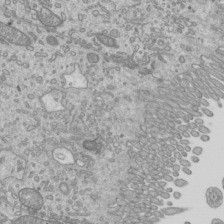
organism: Mouse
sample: Cilia; mouse epididymis